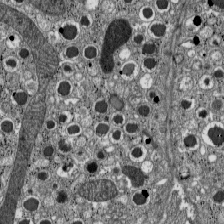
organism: C57BL Mouse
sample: Pancreatic islet